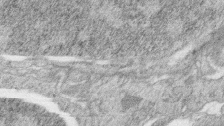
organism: Zebrafish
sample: synaptic ribbons in rod cells and cone cells